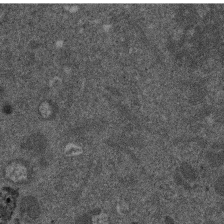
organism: Mouse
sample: Dividing mouse embryo 1 cell stage